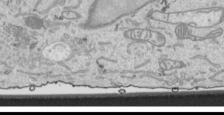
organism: Human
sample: Mitochondria in HCT116 cells